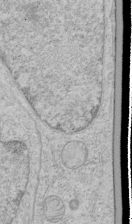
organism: Human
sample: Mitochondria in HCT116 cells